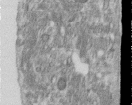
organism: Human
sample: Centriole in RPE cells